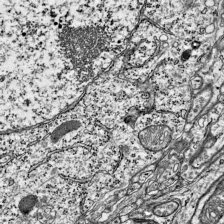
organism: Mouse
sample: Visual Cortex